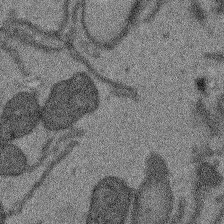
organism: Arabidopsis thaliana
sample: Root tip